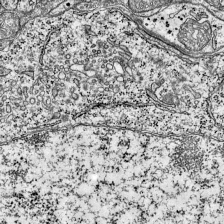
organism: Mouse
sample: Visual Cortex